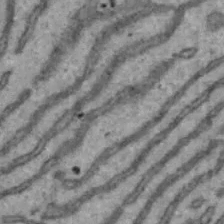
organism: Mouse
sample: Liver